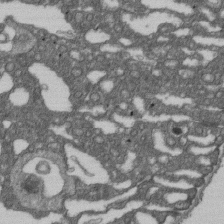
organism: Drosophila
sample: Nephrocyte